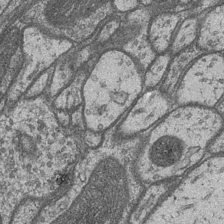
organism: Drosophila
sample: Optic medulla